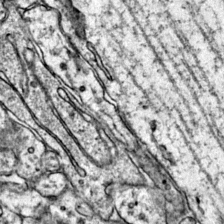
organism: Mouse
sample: Primary visual cortex